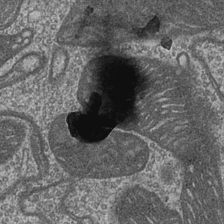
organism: Drosophila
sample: Optic medulla